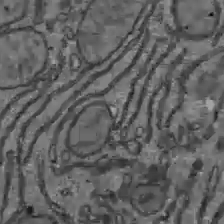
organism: C57BL Mouse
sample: Liver